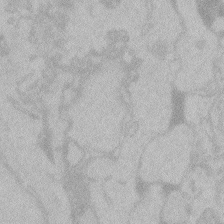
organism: Zebrafish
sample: Macrophage infected with Toxoplasma gondii